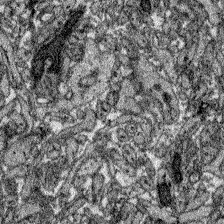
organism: Zebrafish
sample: Larval olfactory bulb